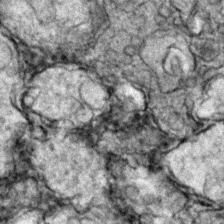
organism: Zebrafish